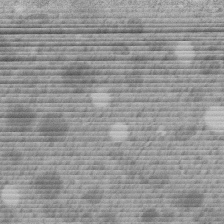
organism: C. elegans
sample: C. elegans embryo early stage